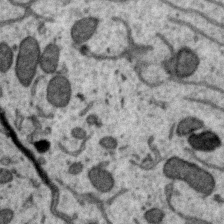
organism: Zebra finch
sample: Brain